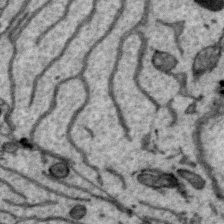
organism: Zebra finch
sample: Brain